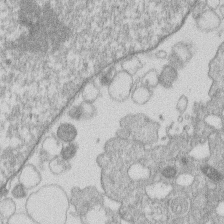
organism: Human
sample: Macrophage cells